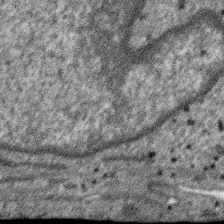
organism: Human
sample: Lung epithelial cells infected with SARS-CoV-2